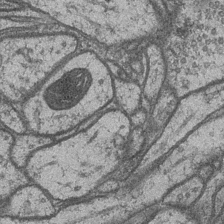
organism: Drosophila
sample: Optic medulla